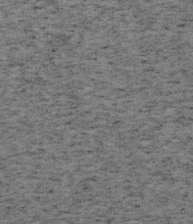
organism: Mouse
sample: OT-I killer T cells with ID8 ovarian cancer cells